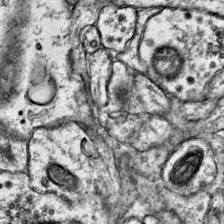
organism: Mouse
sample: Primary visual cortex